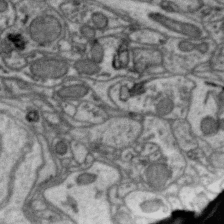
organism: Zebra finch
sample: Brain